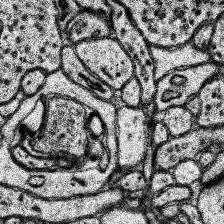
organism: Human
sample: Temporal Lobe